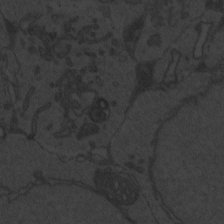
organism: Zebrafish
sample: Macrophage infected with Toxoplasma gondii